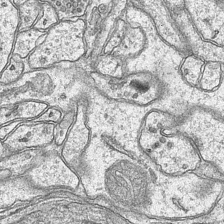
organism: Mouse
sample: CA1 Hippocampus